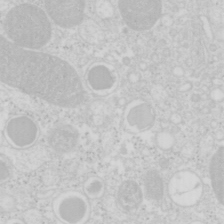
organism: Mouse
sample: Pancreas